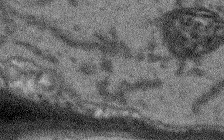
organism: Arabidopsis thaliana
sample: Root tip